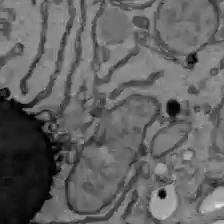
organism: C57BL Mouse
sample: Liver